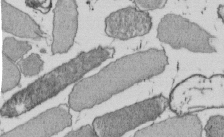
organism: E. coli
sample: Bacterial nucleoid